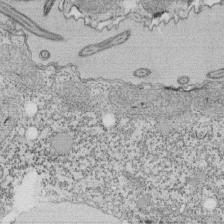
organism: Tetrahymena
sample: Cilia in tetrahymena